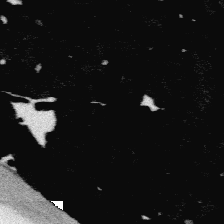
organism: Platynereis dumerilii